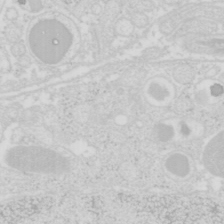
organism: Mouse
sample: Pancreas